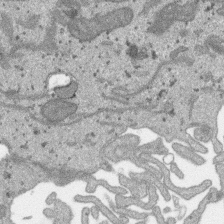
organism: Human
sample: Lung epithelial cells infected with SARS-CoV-2